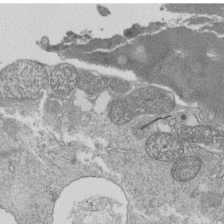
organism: Tetrahymena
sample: Cilia in tetrahymena